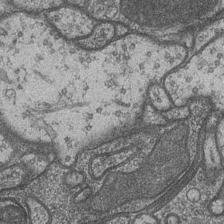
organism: Drosophila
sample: Optic medulla